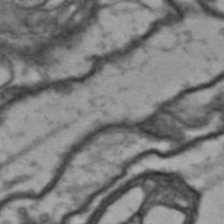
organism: Drosophila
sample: Brain